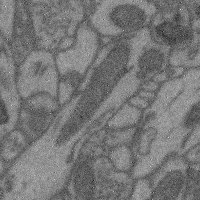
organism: Mouse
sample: Cerebral cortex